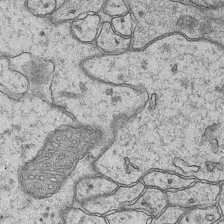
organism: Mouse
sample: CA1 Hippocampus